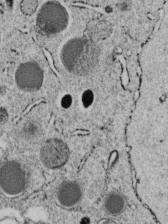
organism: C. elegans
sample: C. elegans embryo early stage